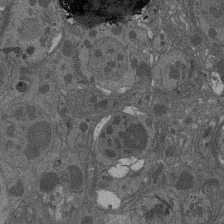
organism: Drosophila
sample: Antenna